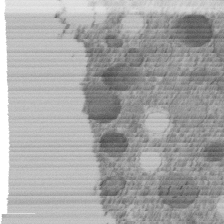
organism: C. elegans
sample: C. elegans embryo early stage